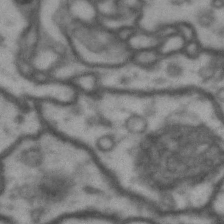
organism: Drosophila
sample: Brain